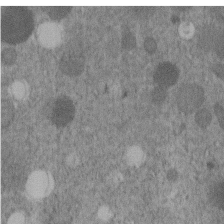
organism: C. elegans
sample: C. elegans embryo early stage